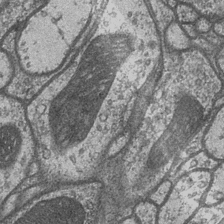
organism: Drosophila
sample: Optic medulla